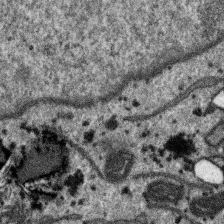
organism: Human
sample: Lung epithelial cells infected with SARS-CoV-2